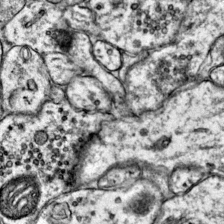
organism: Mouse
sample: Primary visual cortex